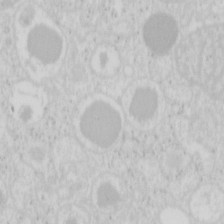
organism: Mouse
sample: Pancreas